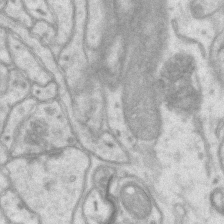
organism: Mouse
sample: CA1 Hippocampus